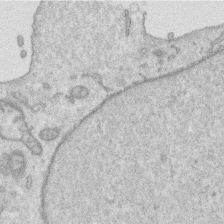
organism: Human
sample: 1205lu cells